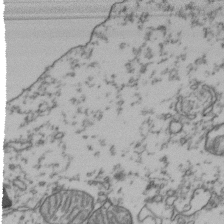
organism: Human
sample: Activated Jurkat CD4+ T cells